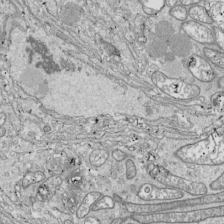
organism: Drosophila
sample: Cell division; meiosis; drosophila spermatocytes